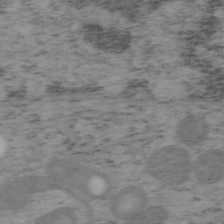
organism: Mouse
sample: OT-I killer T cells with ID8 ovarian cancer cells